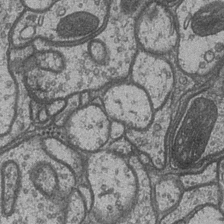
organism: Drosophila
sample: Optic medulla